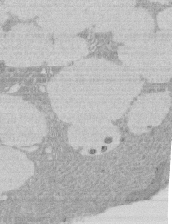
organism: Rat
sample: Salivary granule